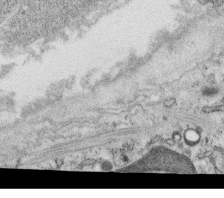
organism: C. elegans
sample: C. elegans oocyte; sperm cells